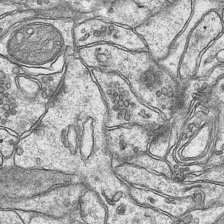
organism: Mouse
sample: CA1 Hippocampus